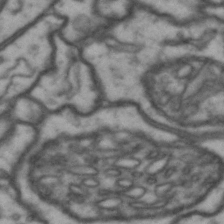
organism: Drosophila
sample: Brain